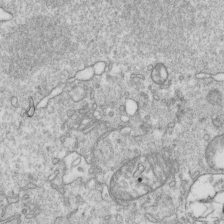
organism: Mouse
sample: Activated OT-1 CD8+ T cells